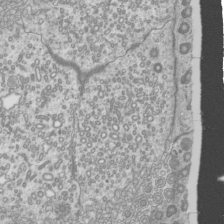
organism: Mouse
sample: Cilia; mouse epididymis